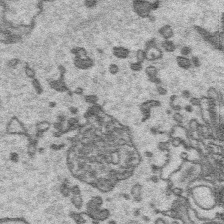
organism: Platynereis dumerilii